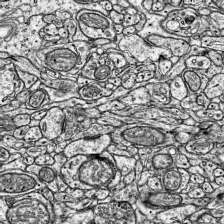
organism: Mouse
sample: Visual Cortex